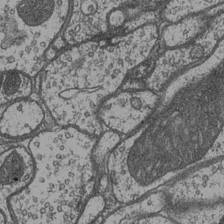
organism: Drosophila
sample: Optic medulla